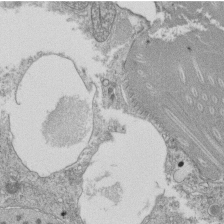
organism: Tetrahymena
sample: Cilia in tetrahymena